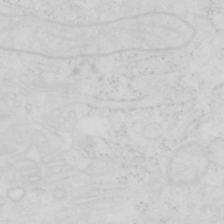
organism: Human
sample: SUM-159 cell